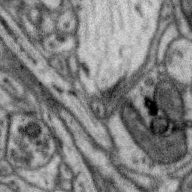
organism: Zebra finch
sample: Brain